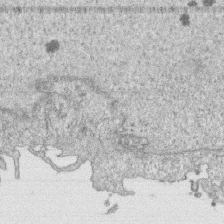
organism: Human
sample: HeLa cell HIV synapse